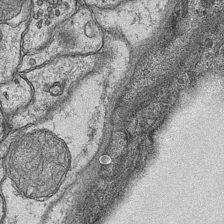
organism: Mouse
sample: CA1 Hippocampus